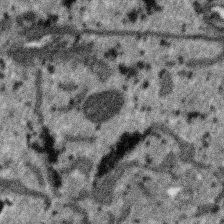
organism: Human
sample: Lung epithelial cells infected with SARS-CoV-2